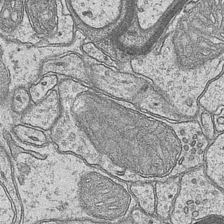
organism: Mouse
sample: CA1 Hippocampus